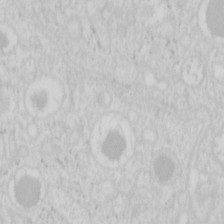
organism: Mouse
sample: Pancreas